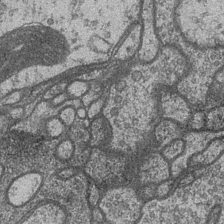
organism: Drosophila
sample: Optic medulla